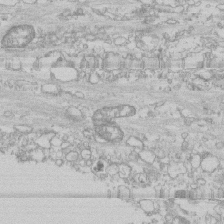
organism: Human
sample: CRL-1474